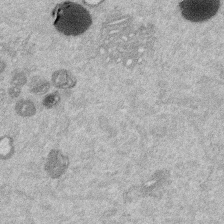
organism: Mouse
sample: Dividing mouse embryo 1 cell stage